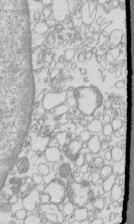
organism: Mouse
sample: Macrophages